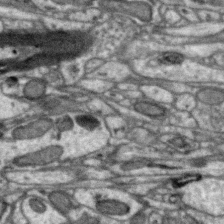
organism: Zebra finch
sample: Brain